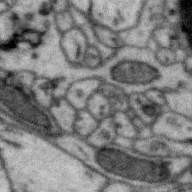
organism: Zebra finch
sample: Brain